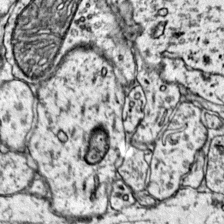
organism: Mouse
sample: Primary visual cortex